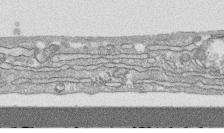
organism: Human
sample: CRL-1474